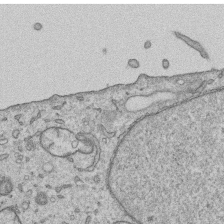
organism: Human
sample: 1205lu cells